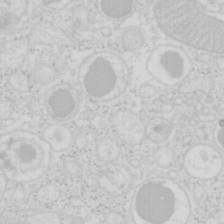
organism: Mouse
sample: Pancreas